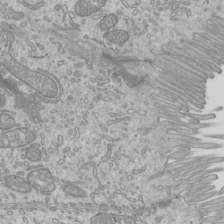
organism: Mouse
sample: Cilia; mouse epididymis